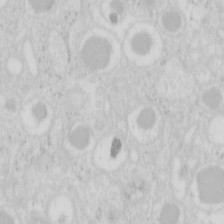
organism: Mouse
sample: Pancreas